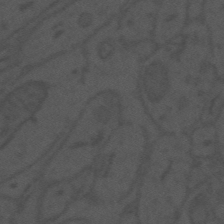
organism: Mouse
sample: Suprachiasmatic nucleus